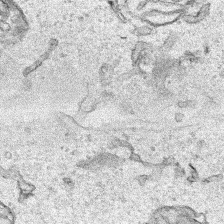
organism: Human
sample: Mitochondria in HCT116 cells